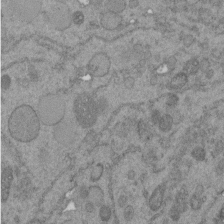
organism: C. elegans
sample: C. elegans embryo early stage